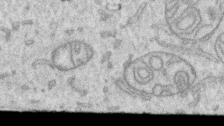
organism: Human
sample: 1205lu cells